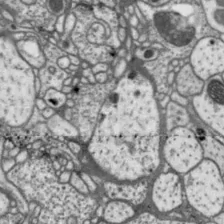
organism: Drosophila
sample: Protocerebral bridge